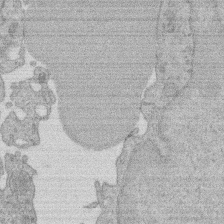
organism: Rat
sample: Salivary granule